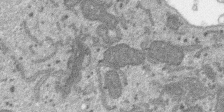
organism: Human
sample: Lung epithelial cells infected with SARS-CoV-2